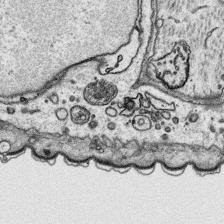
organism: Platynereis dumerilii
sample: Parapodia